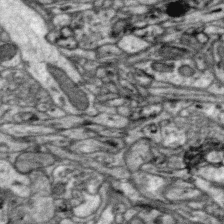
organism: Zebra finch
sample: Brain